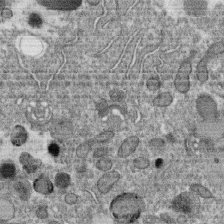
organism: C. elegans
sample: C. elegans oocyte; sperm cells